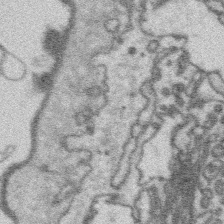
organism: Platynereis dumerilii